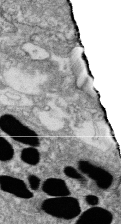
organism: Zebrafish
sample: Cilia; retinal pigment epithelium